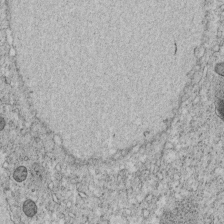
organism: C. elegans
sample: C. elegans embryo early stage